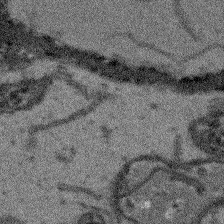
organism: Arabidopsis thaliana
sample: Root tip